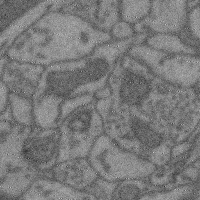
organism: Mouse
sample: Cerebral cortex